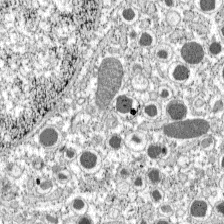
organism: C57BL Mouse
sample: Pancreatic islet